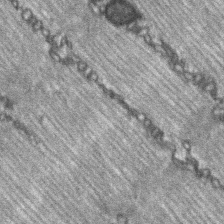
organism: C57BL Mouse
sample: Soleus